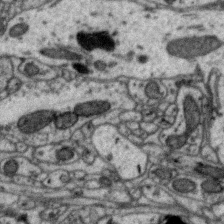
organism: Zebra finch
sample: Brain